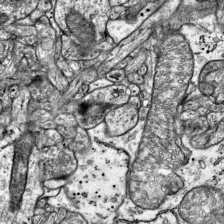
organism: Mouse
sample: Visual Cortex